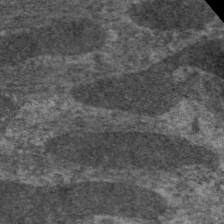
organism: C. elegans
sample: Pharynx